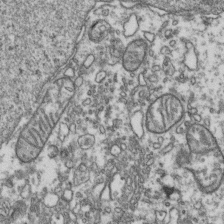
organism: Human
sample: Activated Jurkat CD4+ T cells